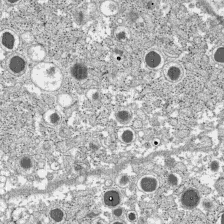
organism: C57BL Mouse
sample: Pancreatic islet